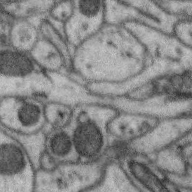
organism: Zebra finch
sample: Brain